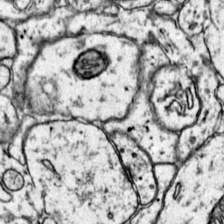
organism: Mouse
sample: Primary visual cortex